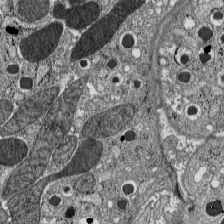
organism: C57BL Mouse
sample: Pancreatic islet